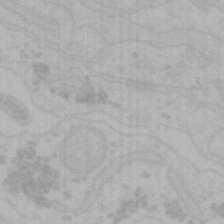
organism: Mouse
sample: Choroid plexus